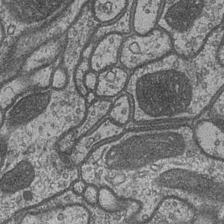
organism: Drosophila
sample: Optic medulla